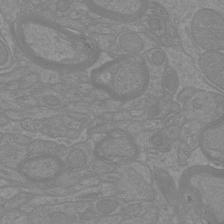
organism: Mouse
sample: Cortical neurons